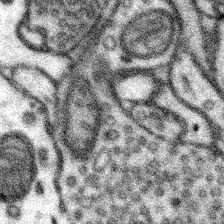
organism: Mouse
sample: Somatosensory cortex neuropil